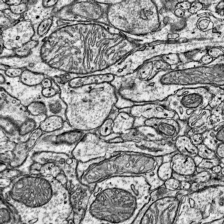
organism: Mouse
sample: Visual Cortex